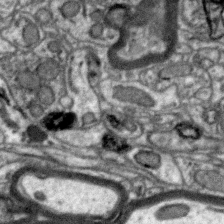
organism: Zebra finch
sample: Brain